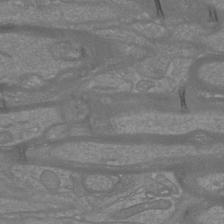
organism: Mouse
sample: Cortical neurons